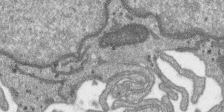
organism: Human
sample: Lung epithelial cells infected with SARS-CoV-2